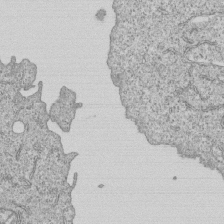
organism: Human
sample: MDA-MB-231 cells